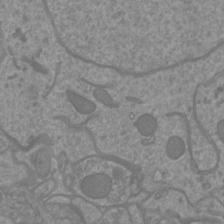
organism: Mouse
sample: Cortical neurons